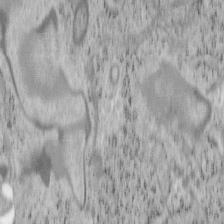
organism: Human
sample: HeLa cells